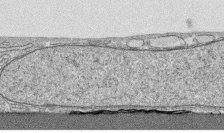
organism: Human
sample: CRL-1474